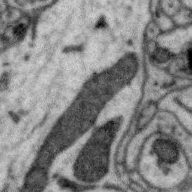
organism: Zebra finch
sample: Brain